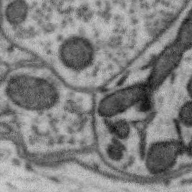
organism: Zebra finch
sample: Brain